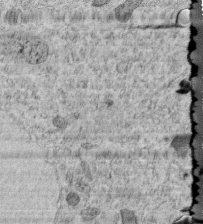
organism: C. elegans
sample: C. elegans embryo early stage